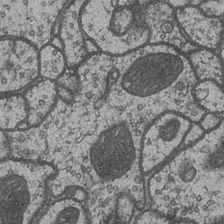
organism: Drosophila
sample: Optic medulla